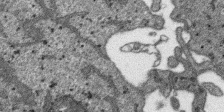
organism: Human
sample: Lung epithelial cells infected with SARS-CoV-2